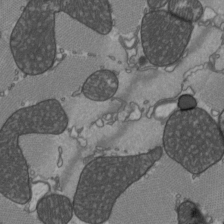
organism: C57BL Mouse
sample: Heart